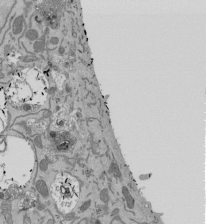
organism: Mouse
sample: ED-1 cell nuclei; centrioles